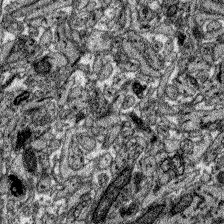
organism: Zebrafish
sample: Larval olfactory bulb